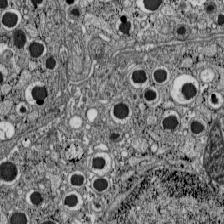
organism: C57BL Mouse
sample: Pancreatic islet